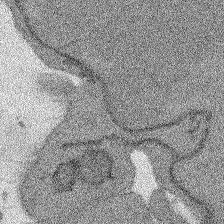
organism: Human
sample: HeLa cells